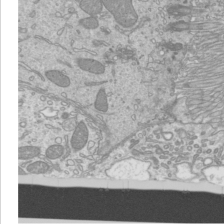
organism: Mouse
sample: Cilia; mouse epididymis